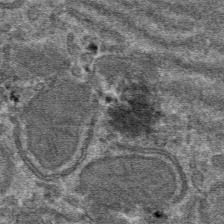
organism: Mouse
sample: Mouse hepatocytes